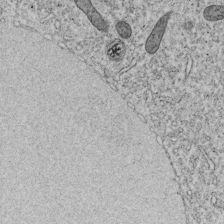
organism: C. elegans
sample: C. elegans embryo early stage